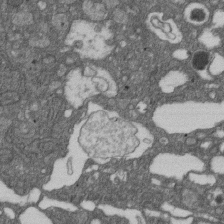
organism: Drosophila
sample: Nephrocyte